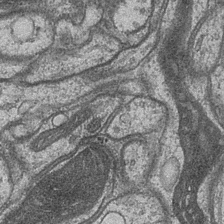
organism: Drosophila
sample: Optic medulla